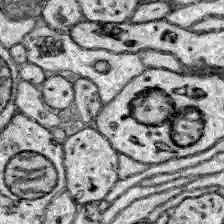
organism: Zebrafish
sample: Brain